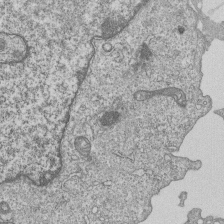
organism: Human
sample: MDA-MB-231 cells